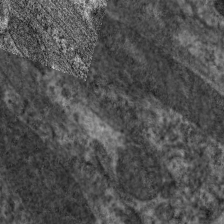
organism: C. elegans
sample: Pharynx